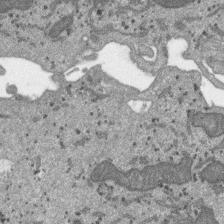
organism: Human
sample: Lung epithelial cells infected with SARS-CoV-2